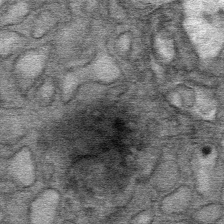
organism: Mouse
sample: Mouse Salivary gland